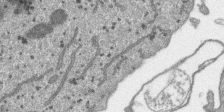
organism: Human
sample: Lung epithelial cells infected with SARS-CoV-2